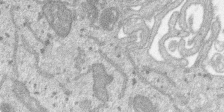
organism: Human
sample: Lung epithelial cells infected with SARS-CoV-2